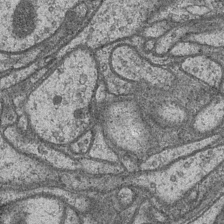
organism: Drosophila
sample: Optic medulla